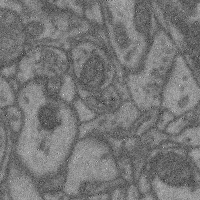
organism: Mouse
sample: Cerebral cortex